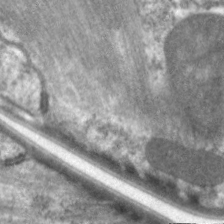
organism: C. elegans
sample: Pharynx